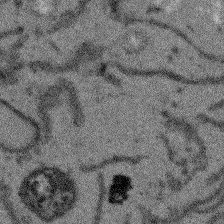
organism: Arabidopsis thaliana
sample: Root tip